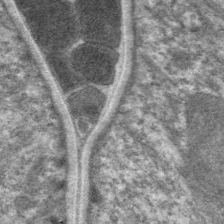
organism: C. elegans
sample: Pharynx